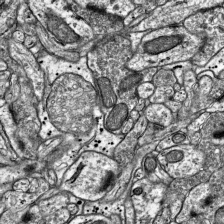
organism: Mouse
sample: Visual Cortex